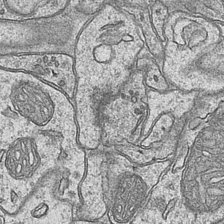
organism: Mouse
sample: CA1 Hippocampus